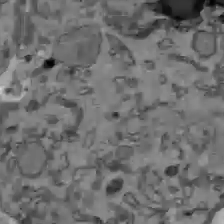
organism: C57BL Mouse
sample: Liver